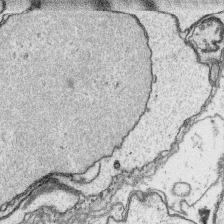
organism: Platynereis dumerilii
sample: Parapodia